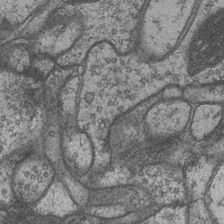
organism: Drosophila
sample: Optic medulla